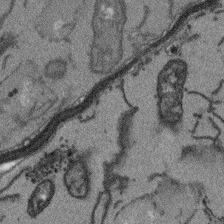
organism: Arabidopsis thaliana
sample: Root tip